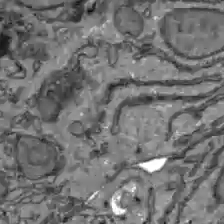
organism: C57BL Mouse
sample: Liver